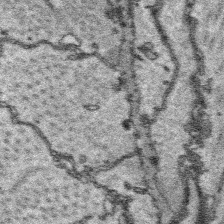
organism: Platynereis dumerilii